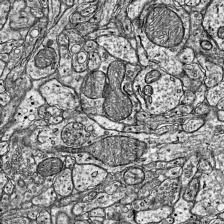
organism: Mouse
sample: Visual Cortex